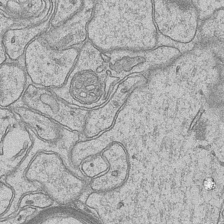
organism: Mouse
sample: CA1 Hippocampus